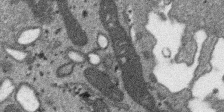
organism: Human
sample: Lung epithelial cells infected with SARS-CoV-2